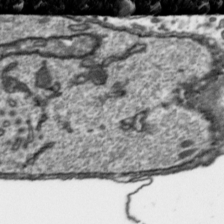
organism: Toxoplasma gondii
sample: Parasites in a vacuole inside a host cell